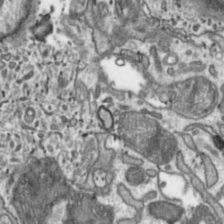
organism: Toxoplasma gondii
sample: Parasites in a vacuole inside a host cell